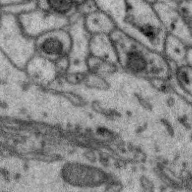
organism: Zebra finch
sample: Brain